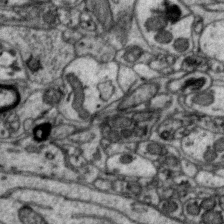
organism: Zebra finch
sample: Brain